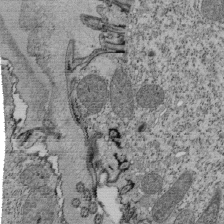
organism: Tetrahymena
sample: Cilia in tetrahymena